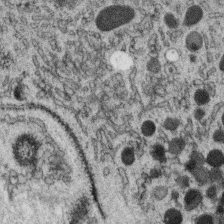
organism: C. elegans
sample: C. elegans oocyte; sperm cells